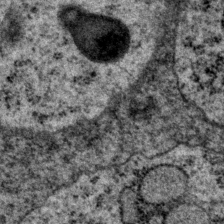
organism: P. pacificus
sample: Pharynx